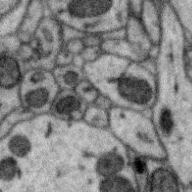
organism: Zebra finch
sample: Brain